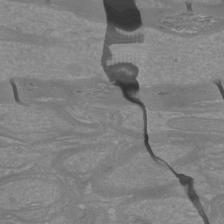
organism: Mouse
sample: Cortical neurons